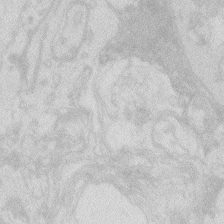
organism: Zebrafish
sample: Macrophage